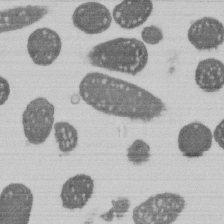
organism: E. coli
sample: Bacterial nucleoid